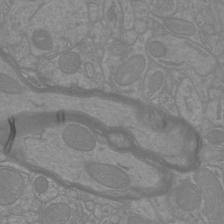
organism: Mouse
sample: Cortical neurons